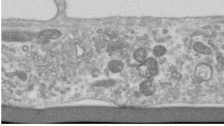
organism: Human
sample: Centriole in RPE cells